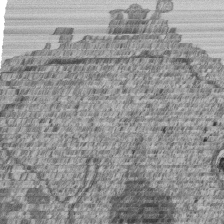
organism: Human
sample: MDA-MB-231 cells